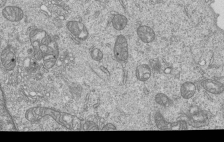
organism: Human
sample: MDA-MB-231 cells